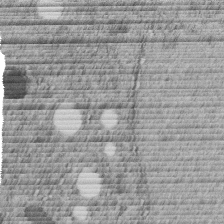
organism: C. elegans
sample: C. elegans embryo early stage